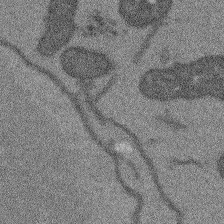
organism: Arabidopsis thaliana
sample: Root tip